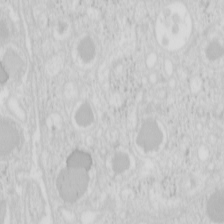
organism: Mouse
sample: Pancreas